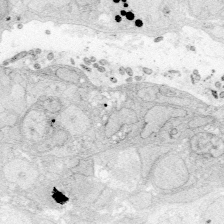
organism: Zebrafish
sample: Whole-Brain